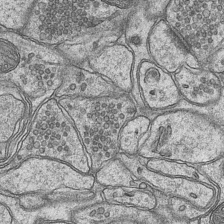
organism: Mouse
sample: CA1 Hippocampus